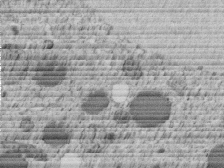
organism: C. elegans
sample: C. elegans embryo early stage